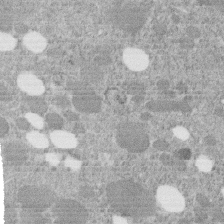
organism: C. elegans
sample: C. elegans embryo early stage